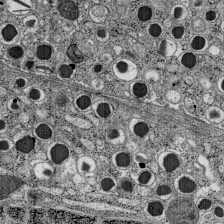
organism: C57BL Mouse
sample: Pancreatic islet